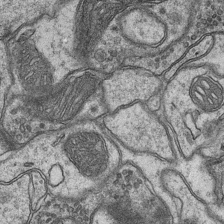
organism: Mouse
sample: CA1 Hippocampus